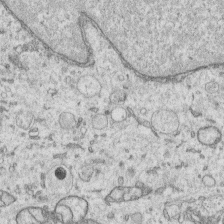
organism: Human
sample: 1205lu cells